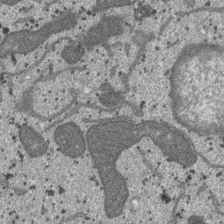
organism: Human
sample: Lung epithelial cells infected with SARS-CoV-2